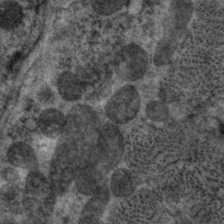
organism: C. elegans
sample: Pharynx